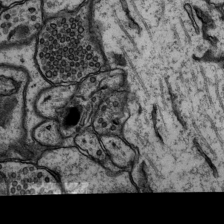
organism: Rat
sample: Hippocampus